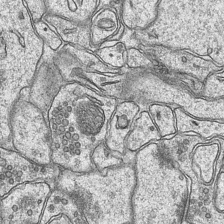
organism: Mouse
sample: CA1 Hippocampus